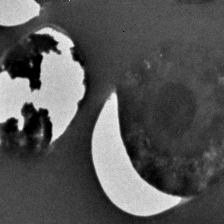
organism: C. elegans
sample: C. elegans embryo